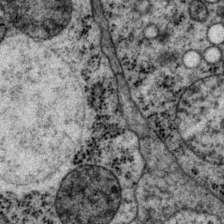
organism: P. pacificus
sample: Pharynx